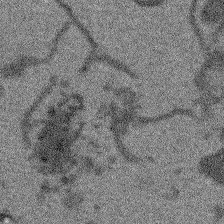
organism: Arabidopsis thaliana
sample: Root tip